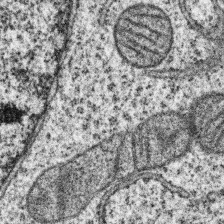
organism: Human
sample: HeLa cells